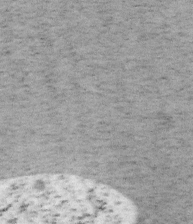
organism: Mouse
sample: OT-I killer T cells with ID8 ovarian cancer cells